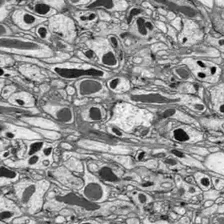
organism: Drosophila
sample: Optic lobe